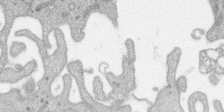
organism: Human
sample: Lung epithelial cells infected with SARS-CoV-2